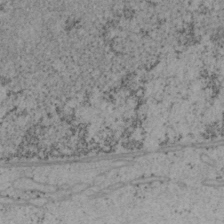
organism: Human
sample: HeLa cells